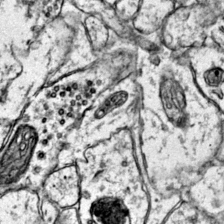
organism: Mouse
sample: Primary visual cortex